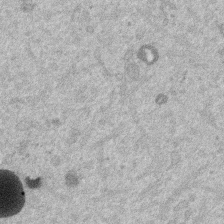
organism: Mouse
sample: Dividing mouse embryo 1 cell stage